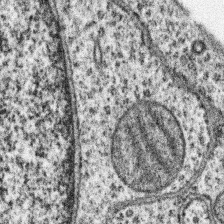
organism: Human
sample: HeLa cells